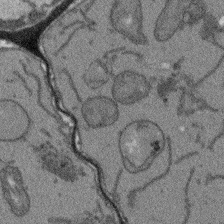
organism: Arabidopsis thaliana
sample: Root tip